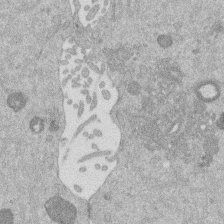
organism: Mouse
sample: Dividing mouse embryo 1 cell stage